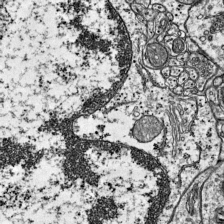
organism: Mouse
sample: Visual Cortex